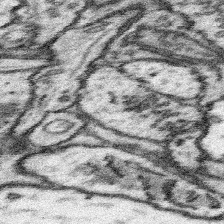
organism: Mouse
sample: Somatosensory cortex neuropil